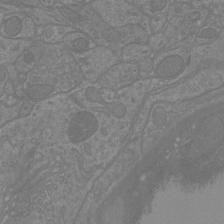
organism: Mouse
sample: Cortical neurons